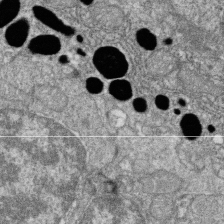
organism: Zebrafish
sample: Cilia; retinal pigment epithelium